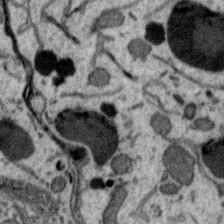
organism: Zebra finch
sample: Brain